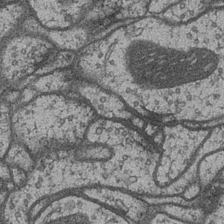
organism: Drosophila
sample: Optic medulla